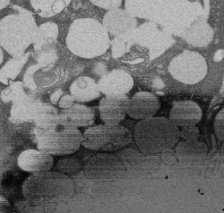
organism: Rat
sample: Salivary granule